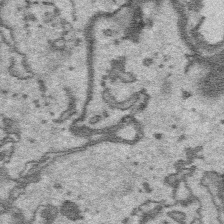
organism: Platynereis dumerilii